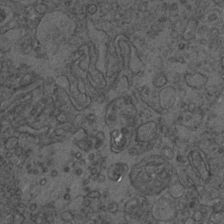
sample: Trachea